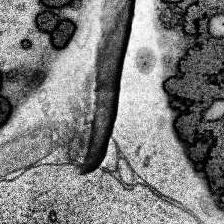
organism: Human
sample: Temporal Lobe